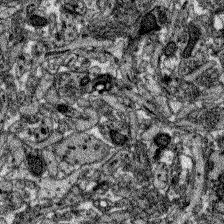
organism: Zebrafish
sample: Larval olfactory bulb